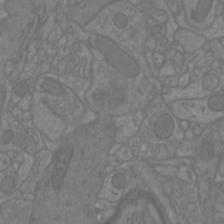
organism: Mouse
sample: Cortical neurons